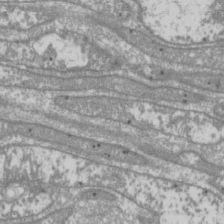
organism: Drosophila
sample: Cell division; meiosis; drosophila spermatocytes